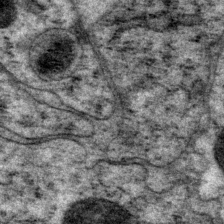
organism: P. pacificus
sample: Pharynx